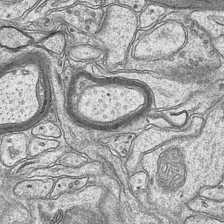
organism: Mouse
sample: CA1 Hippocampus